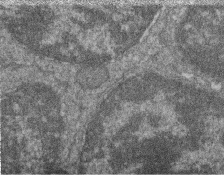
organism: Zebrafish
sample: Cilia; retinal pigment epithelium